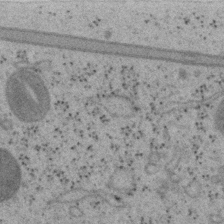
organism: Human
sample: HeLa cells